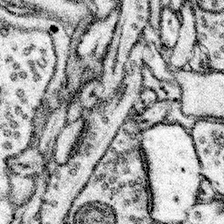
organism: Mouse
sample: Somatosensory cortex neuropil